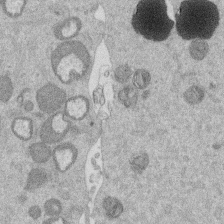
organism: Mouse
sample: Dividing mouse embryo 1 cell stage